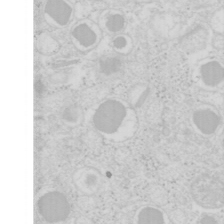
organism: Mouse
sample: Pancreas